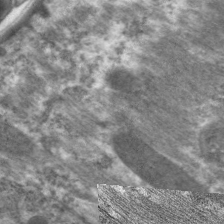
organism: C. elegans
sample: Pharynx